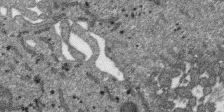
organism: Human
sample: Lung epithelial cells infected with SARS-CoV-2